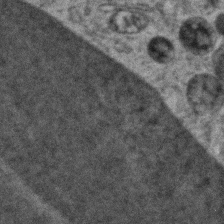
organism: Zebrafish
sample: Zebrafish embryo